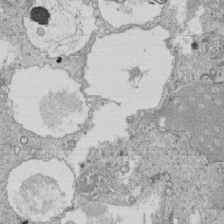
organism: Tetrahymena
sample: Cilia in tetrahymena